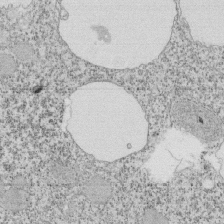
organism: Tetrahymena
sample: Cilia in tetrahymena